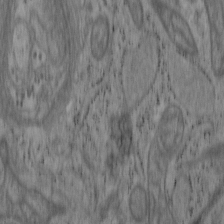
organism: Human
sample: HeLa cells